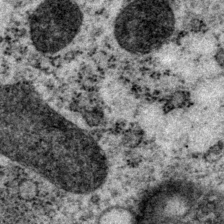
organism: P. pacificus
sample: Pharynx